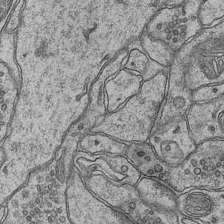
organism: Mouse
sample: CA1 Hippocampus